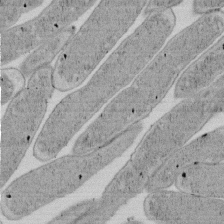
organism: E. coli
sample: Bacterial nucleoid